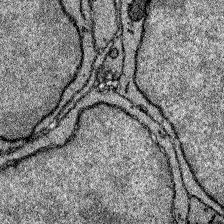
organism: Zebrafish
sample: Larval olfactory bulb